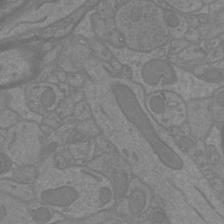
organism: Mouse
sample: Cortical neurons